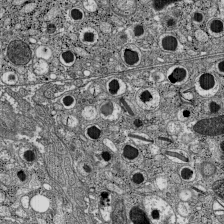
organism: C57BL Mouse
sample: Pancreatic islet